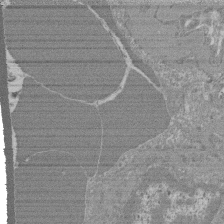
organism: Mouse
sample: Glomerulus